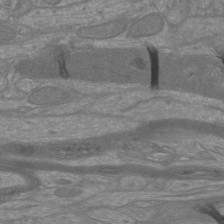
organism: Mouse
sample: Cortical neurons